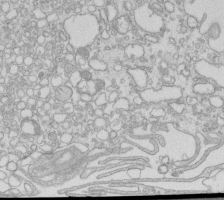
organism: Mouse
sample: Macrophages